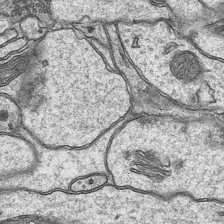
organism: Mouse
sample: CA1 Hippocampus